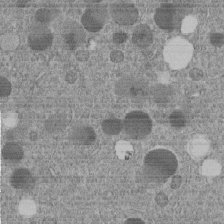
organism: C. elegans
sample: C. elegans embryo early stage